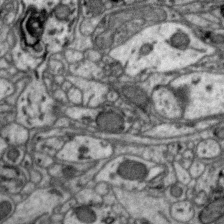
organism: Zebra finch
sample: Brain